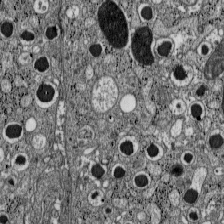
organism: C57BL Mouse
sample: Pancreatic islet